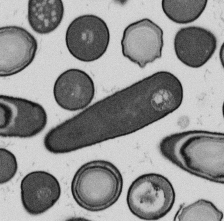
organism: B. subtilis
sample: Bacterial spore